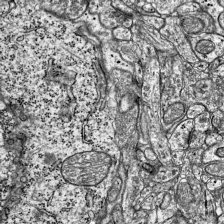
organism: Mouse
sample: Visual Cortex